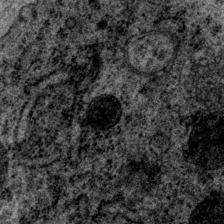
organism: P. pacificus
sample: Pharynx